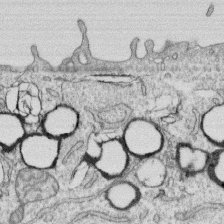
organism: Human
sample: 1205lu cells